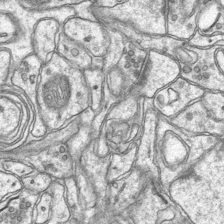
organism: Mouse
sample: CA1 Hippocampus